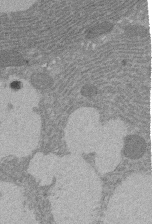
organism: Rat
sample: Salivary granule